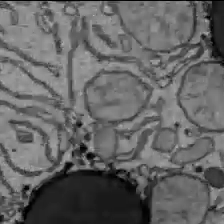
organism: C57BL Mouse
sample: Liver